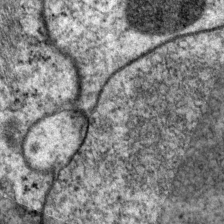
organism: P. pacificus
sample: Pharynx